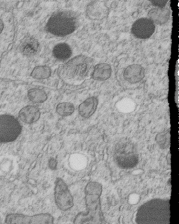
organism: C. elegans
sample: C. elegans embryo early stage